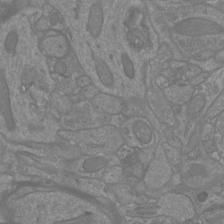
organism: Mouse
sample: Cortical neurons